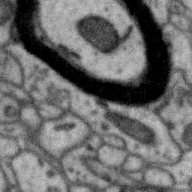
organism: Zebra finch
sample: Brain